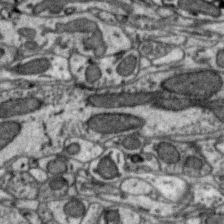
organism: Zebra finch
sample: Brain